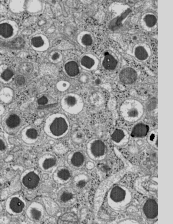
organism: C57BL Mouse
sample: Pancreatic islet